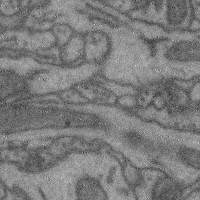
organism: Mouse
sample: Cerebral cortex